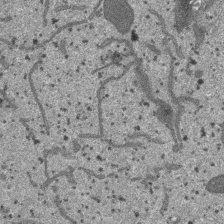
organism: Human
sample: Lung epithelial cells infected with SARS-CoV-2